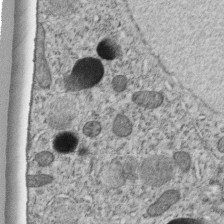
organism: C. elegans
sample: C. elegans embryo early stage